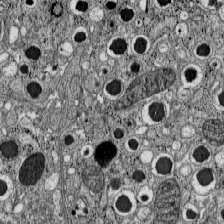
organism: C57BL Mouse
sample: Pancreatic islet